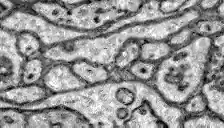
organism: Zebrafish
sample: Brain